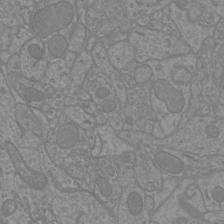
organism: Mouse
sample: Cortical neurons